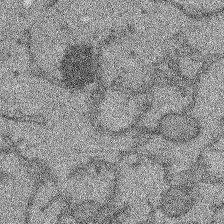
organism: Human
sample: HeLa cells